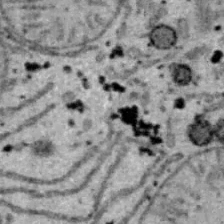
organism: Mouse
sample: Liver from an obese (ob/ob) mouse